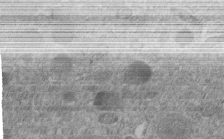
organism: C. elegans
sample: C. elegans embryo early stage